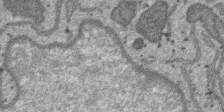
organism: Human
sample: Lung epithelial cells infected with SARS-CoV-2